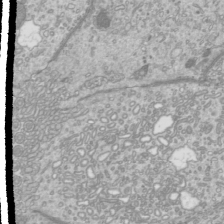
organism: Mouse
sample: Cilia; mouse epididymis